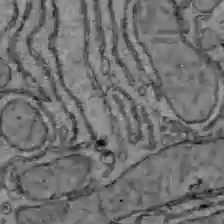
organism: C57BL Mouse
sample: Liver